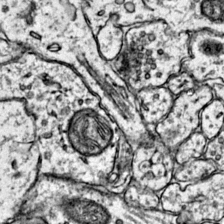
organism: Mouse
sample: Primary visual cortex